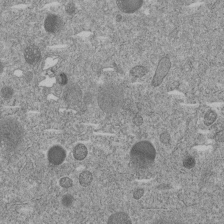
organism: C. elegans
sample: C. elegans embryo early stage